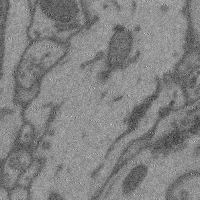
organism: Mouse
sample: Cerebral cortex